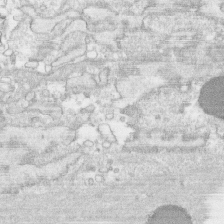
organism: Human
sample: CRL-1474